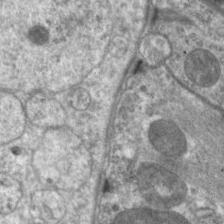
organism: C. elegans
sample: Pharynx